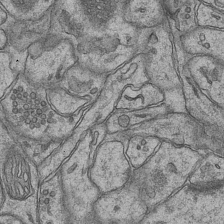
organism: Mouse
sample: CA1 Hippocampus